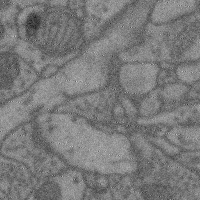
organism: Mouse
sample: Cerebral cortex